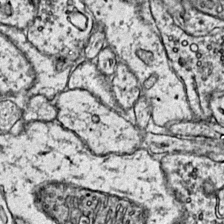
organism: Mouse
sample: Primary visual cortex